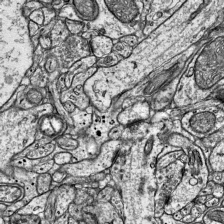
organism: Mouse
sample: Visual Cortex